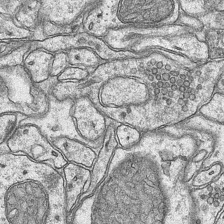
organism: Mouse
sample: CA1 Hippocampus